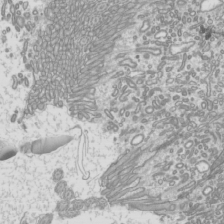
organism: Mouse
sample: Cilia; mouse epididymis